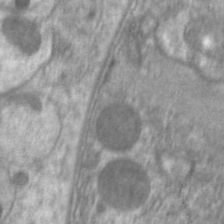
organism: C. elegans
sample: Pharynx